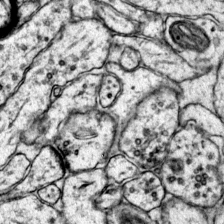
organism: Mouse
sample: Primary visual cortex